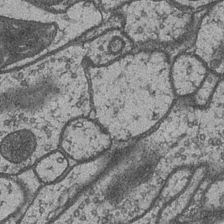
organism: Drosophila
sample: Optic medulla